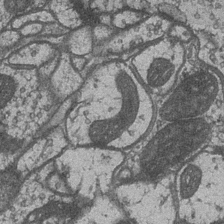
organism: Drosophila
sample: Optic medulla